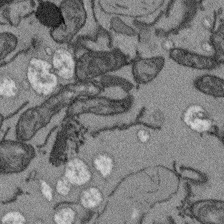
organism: Arabidopsis thaliana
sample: Root tip